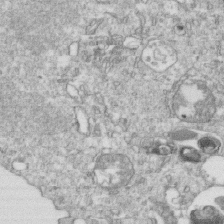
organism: Mouse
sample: Activated OT-1 CD8+ T cells